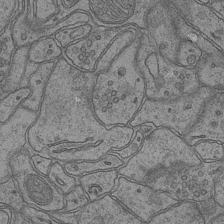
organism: Mouse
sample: CA1 Hippocampus